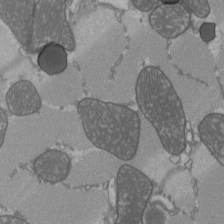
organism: C57BL Mouse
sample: Heart